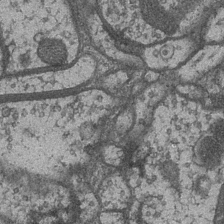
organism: Drosophila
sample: Optic medulla